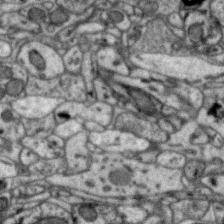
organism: Zebra finch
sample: Brain